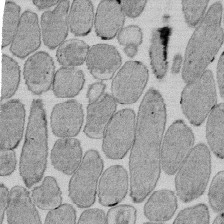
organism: E. coli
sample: Bacterial nucleoid